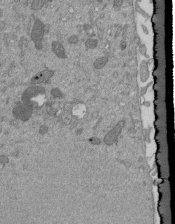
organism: Mouse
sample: ED-1 cell nuclei; centrioles